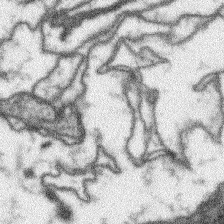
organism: Arabidopsis thaliana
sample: Root tip